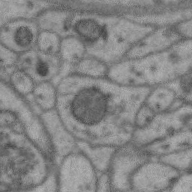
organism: Zebra finch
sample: Brain